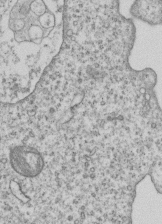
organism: Human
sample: MDA-MB-231 cells